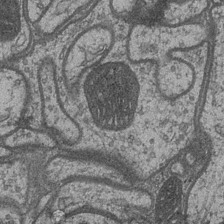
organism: Drosophila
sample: Optic medulla